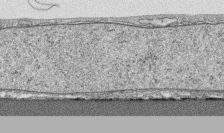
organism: Human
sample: CRL-1474